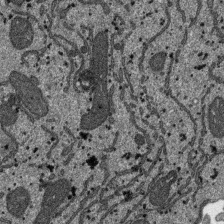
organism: Human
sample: Lung epithelial cells infected with SARS-CoV-2